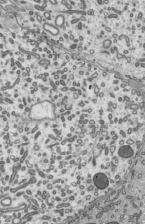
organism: Mouse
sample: Mouse epididymis efferent ductule cilia